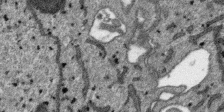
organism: Human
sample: Lung epithelial cells, uninfected (mock) control